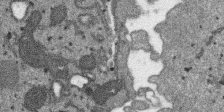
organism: Human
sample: Lung epithelial cells infected with SARS-CoV-2